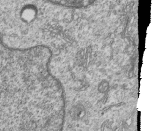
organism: Human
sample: MDA-MB-231 cells